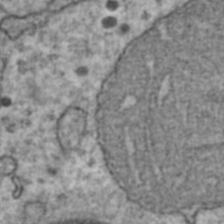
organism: Human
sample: Blood